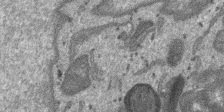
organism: Human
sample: Lung epithelial cells infected with SARS-CoV-2